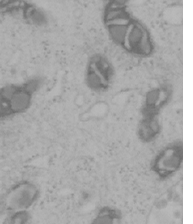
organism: Mouse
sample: OT-I killer T cells with ID8 ovarian cancer cells